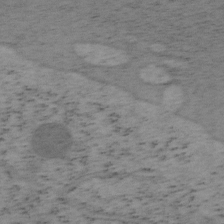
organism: Mouse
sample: OT-I killer T cells with ID8 ovarian cancer cells